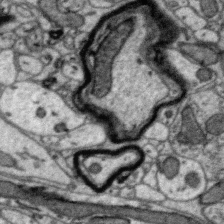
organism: Zebra finch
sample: Brain